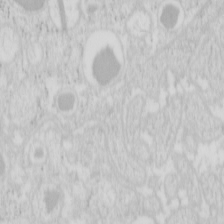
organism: Mouse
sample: Pancreas